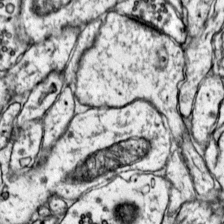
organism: Mouse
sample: Primary visual cortex